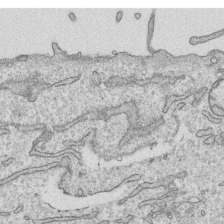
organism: Human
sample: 1205lu cells